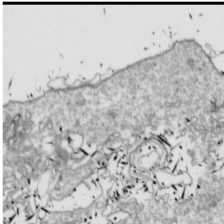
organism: Drosophila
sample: Cell division; meiosis; drosophila spermatocytes